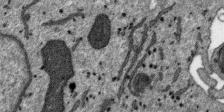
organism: Human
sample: Lung epithelial cells, uninfected (mock) control